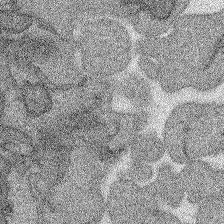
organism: Human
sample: HeLa cells